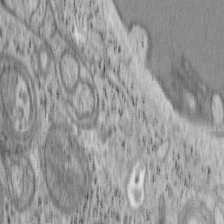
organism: Human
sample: HeLa cells